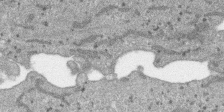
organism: Human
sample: Lung epithelial cells infected with SARS-CoV-2